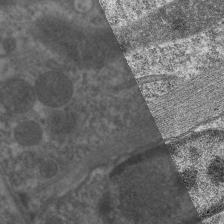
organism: C. elegans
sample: Pharynx